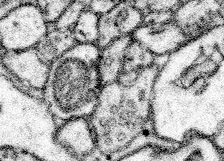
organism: Mouse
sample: Somatosensory cortex neuropil